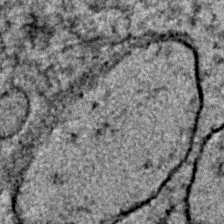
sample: Trachea